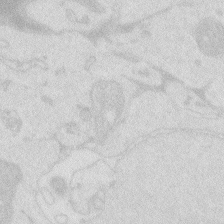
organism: Zebrafish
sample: Macrophage